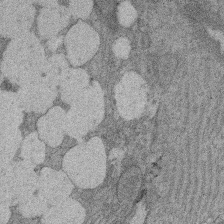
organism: Rat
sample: Salivary granule